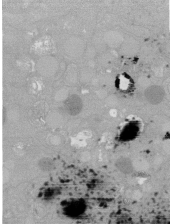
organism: C. elegans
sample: C. elegans oocyte; sperm cells